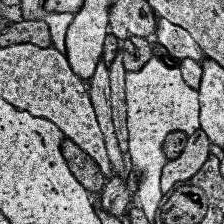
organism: Human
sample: Temporal Lobe